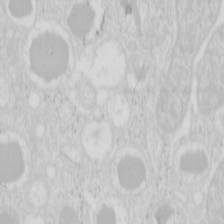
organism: Mouse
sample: Pancreas